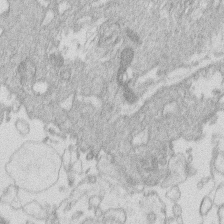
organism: Human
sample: Macrophage cells